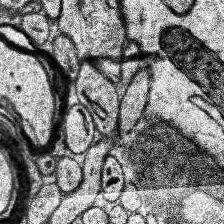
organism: Human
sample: Temporal Lobe